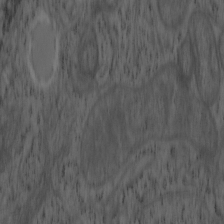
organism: Human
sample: HeLa cells